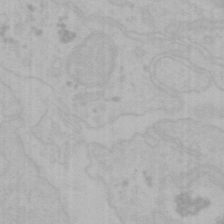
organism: Mouse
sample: Choroid plexus